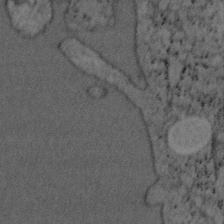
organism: Human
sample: HeLa cells